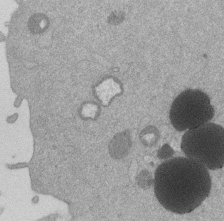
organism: Mouse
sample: Dividing mouse embryo 1 cell stage